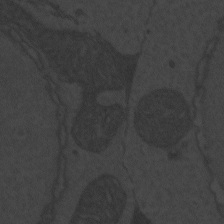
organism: Zebrafish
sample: Macrophage infected with Toxoplasma gondii